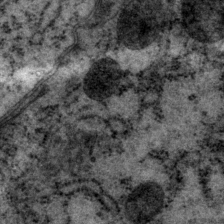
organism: P. pacificus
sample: Pharynx